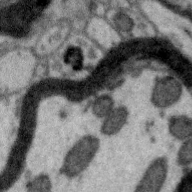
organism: Zebra finch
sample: Brain